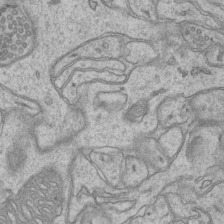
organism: Mouse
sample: CA1 Hippocampus